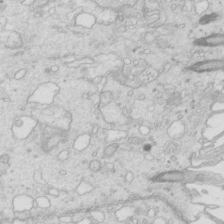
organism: Mouse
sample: Multiciliated cells